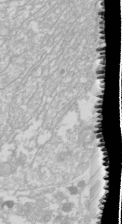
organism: Drosophila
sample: Cell division; meiosis; drosophila spermatocytes